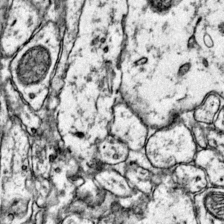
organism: Mouse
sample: Primary visual cortex